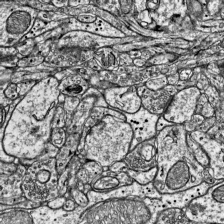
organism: Mouse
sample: Visual Cortex